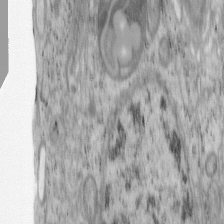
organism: Human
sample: HeLa cells